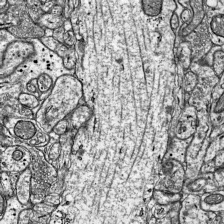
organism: Mouse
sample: Visual Cortex